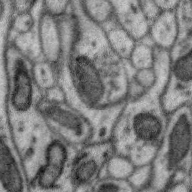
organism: Zebra finch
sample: Brain